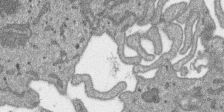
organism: Human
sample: Lung epithelial cells infected with SARS-CoV-2